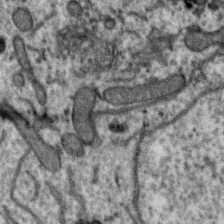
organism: Zebra finch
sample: Brain